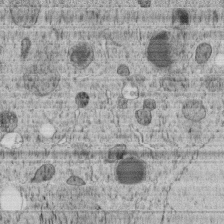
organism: C. elegans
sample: C. elegans embryo early stage